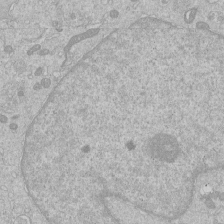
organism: Human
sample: Macrophage cells